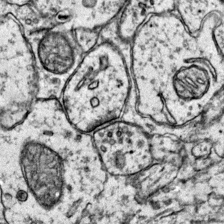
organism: Mouse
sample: Primary visual cortex